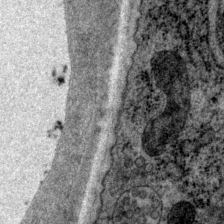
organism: P. pacificus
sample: Pharynx